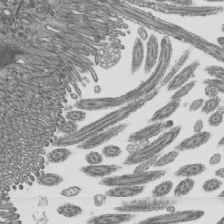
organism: Mouse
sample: Mouse epididymis efferent ductule cilia